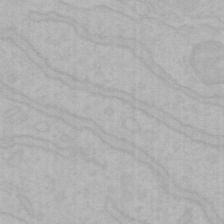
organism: Mouse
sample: Choroid plexus